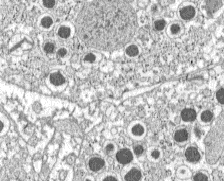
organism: C57BL Mouse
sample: Pancreatic islet